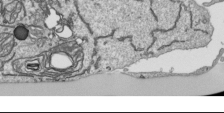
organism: Human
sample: Mitochondria in HCT116 cells